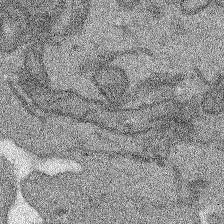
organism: Human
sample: HeLa cells